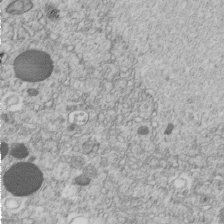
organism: C. elegans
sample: C. elegans embryo early stage